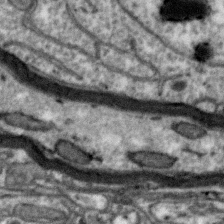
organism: Zebra finch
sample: Brain